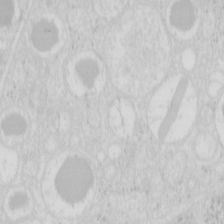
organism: Mouse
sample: Pancreas